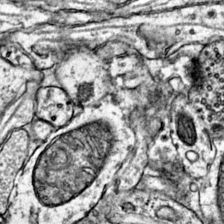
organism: Mouse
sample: Primary visual cortex